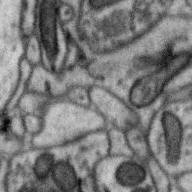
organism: Zebra finch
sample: Brain